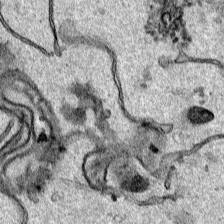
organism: Human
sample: Mitochondria in HCT116 cells